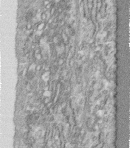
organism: Human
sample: Centriole in fibroblast cells